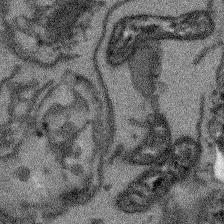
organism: Arabidopsis thaliana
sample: Root tip